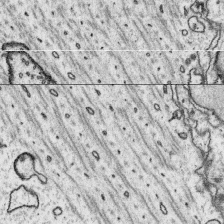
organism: Platynereis dumerilii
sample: Parapodia